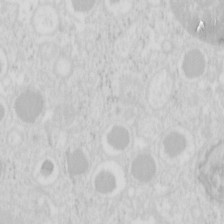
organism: Mouse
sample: Pancreas